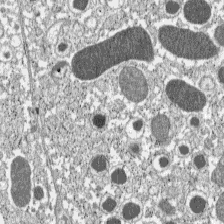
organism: C57BL Mouse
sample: Pancreatic islet